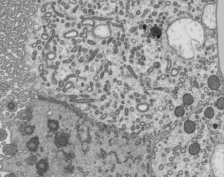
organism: Mouse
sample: Mouse epididymis efferent ductule cilia